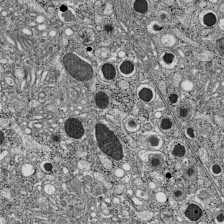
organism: C57BL Mouse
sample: Pancreatic islet